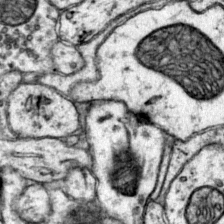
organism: Mouse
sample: Primary visual cortex